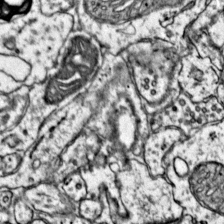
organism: Mouse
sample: Primary visual cortex